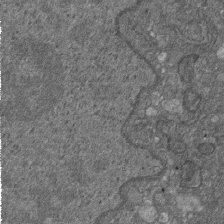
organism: Drosophila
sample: Nephrocyte